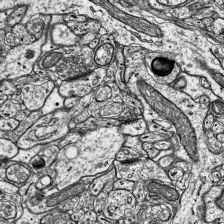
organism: Mouse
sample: Visual Cortex